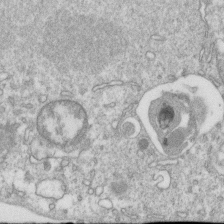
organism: Mouse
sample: Activated OT-1 CD8+ T cells